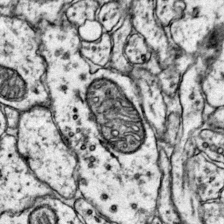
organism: Mouse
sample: Primary visual cortex